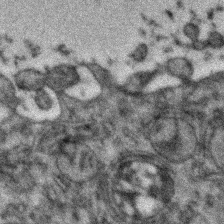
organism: Zebrafish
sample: Zebrafish embryo